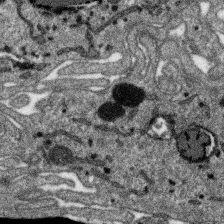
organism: Human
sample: Lung epithelial cells infected with SARS-CoV-2